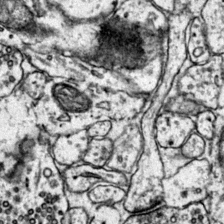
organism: Mouse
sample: Primary visual cortex